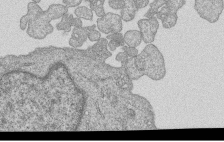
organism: Human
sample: MDA-MB-231 cells